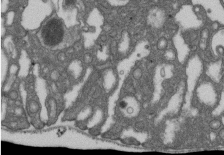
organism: Drosophila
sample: Nephrocyte